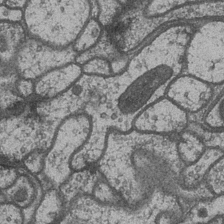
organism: Drosophila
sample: Optic medulla